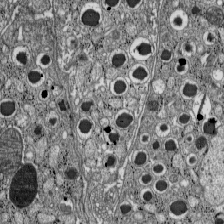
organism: C57BL Mouse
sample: Pancreatic islet